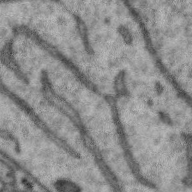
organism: Zebra finch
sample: Brain